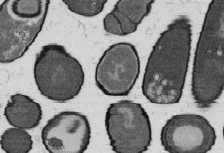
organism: B. subtilis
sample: Bacterial spore